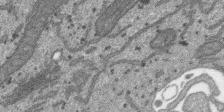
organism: Human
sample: Lung epithelial cells infected with SARS-CoV-2